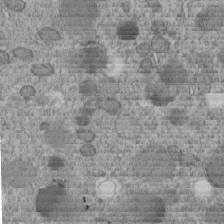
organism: C. elegans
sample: C. elegans embryo early stage